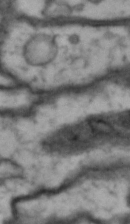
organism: Drosophila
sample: Brain